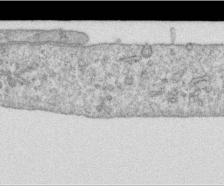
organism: Human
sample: Centriole in RPE cells